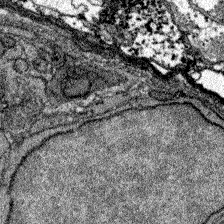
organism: Zebrafish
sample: Larval olfactory bulb